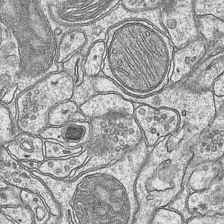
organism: Mouse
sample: CA1 Hippocampus